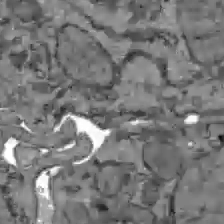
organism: C57BL Mouse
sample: Liver